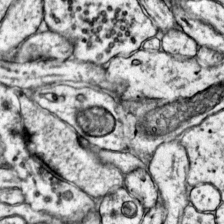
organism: Mouse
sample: Primary visual cortex